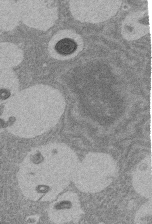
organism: Rat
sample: Salivary granule